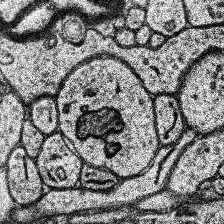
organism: Human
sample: Temporal Lobe